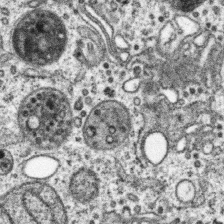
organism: Human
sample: HeLa cells